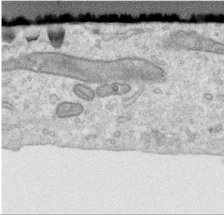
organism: Human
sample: Centriole in RPE cells